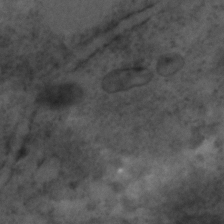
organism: C. elegans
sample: C. elegans embryo